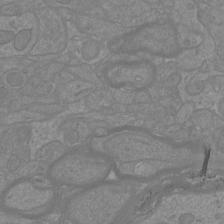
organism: Mouse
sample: Cortical neurons